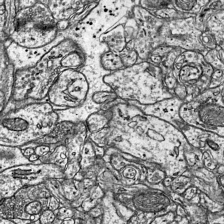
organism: Mouse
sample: Visual Cortex